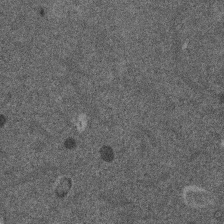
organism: Mouse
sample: Dividing mouse embryo 1 cell stage